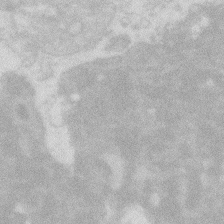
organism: Zebrafish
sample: Macrophage